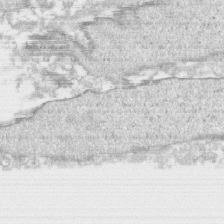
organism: Human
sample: CRL-1474